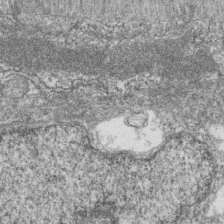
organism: Zebrafish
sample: Cilia; retinal pigment epithelium